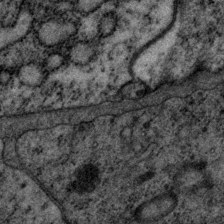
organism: P. pacificus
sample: Pharynx